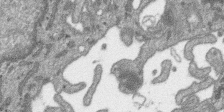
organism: Human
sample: Lung epithelial cells infected with SARS-CoV-2